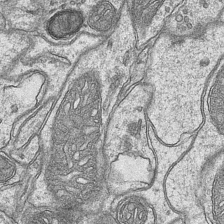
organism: Mouse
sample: CA1 Hippocampus